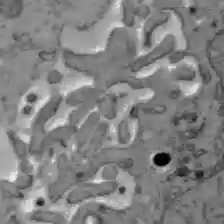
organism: C57BL Mouse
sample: Liver